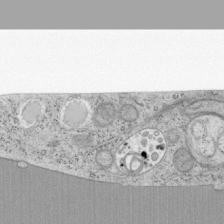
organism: Human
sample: HeLa cells